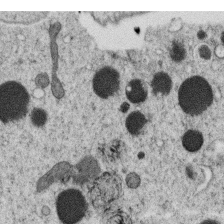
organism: C. elegans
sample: C. elegans oocyte; sperm cells